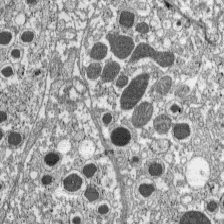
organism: C57BL Mouse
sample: Pancreatic islet